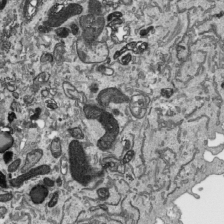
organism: Human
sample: Mitochondria in HCT116 cells